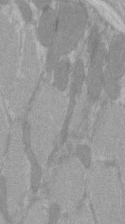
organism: C57BL Mouse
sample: Tibialis anterior muscle cell